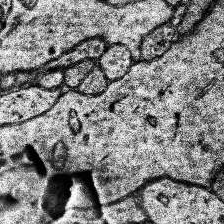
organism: Human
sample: Temporal Lobe